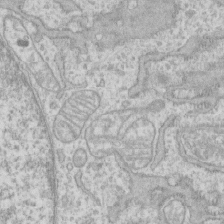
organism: Human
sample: CRL-1474